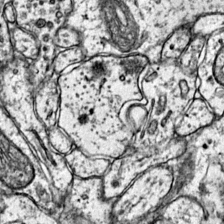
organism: Mouse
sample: Primary visual cortex